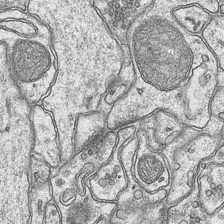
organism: Mouse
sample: CA1 Hippocampus